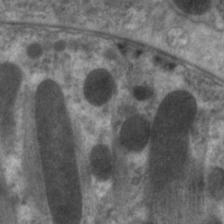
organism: C. elegans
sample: Pharynx